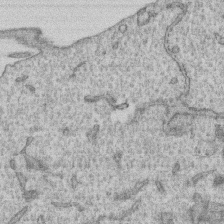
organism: Human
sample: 1205lu cells